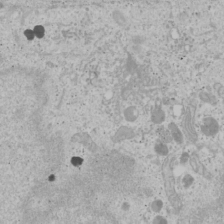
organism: Human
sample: Mitochondria in U2OS cells